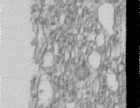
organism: Human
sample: Centriole in RPE cells